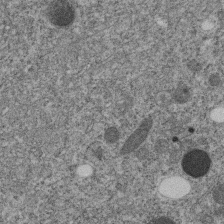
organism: C. elegans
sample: C. elegans embryo early stage